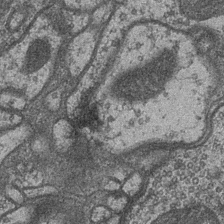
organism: Drosophila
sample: Optic medulla